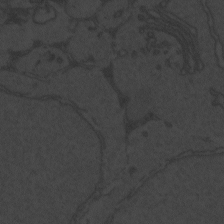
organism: Zebrafish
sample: Macrophage infected with Toxoplasma gondii